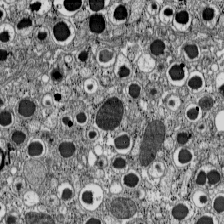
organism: C57BL Mouse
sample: Pancreatic islet